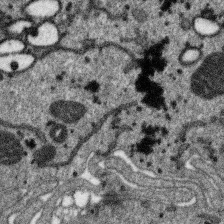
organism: Human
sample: Lung epithelial cells infected with SARS-CoV-2